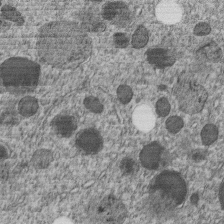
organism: C. elegans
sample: C. elegans embryo early stage